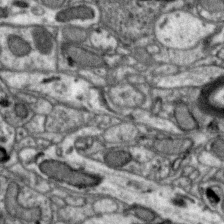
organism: Zebra finch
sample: Brain